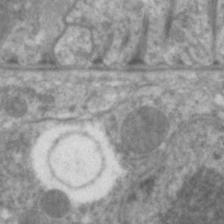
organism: C. elegans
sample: Pharynx